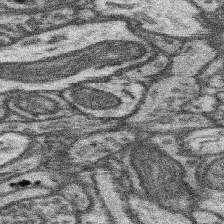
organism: Mouse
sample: Somatosensory cortex neuropil